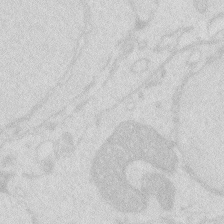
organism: Zebrafish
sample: Macrophage